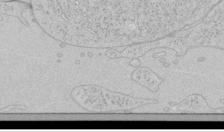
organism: Human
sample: Mitochondria in HCT116 cells